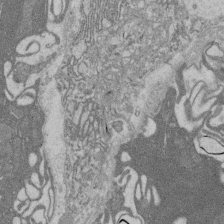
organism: Rat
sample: Salivary granule